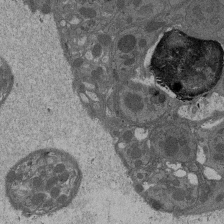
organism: Drosophila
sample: Antenna